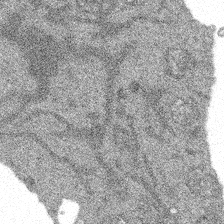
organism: Spongilla lacustris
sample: Multiple